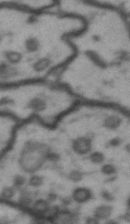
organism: Drosophila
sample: Brain